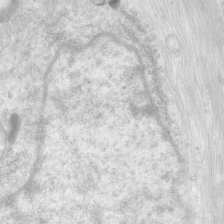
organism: Human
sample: Neocortex